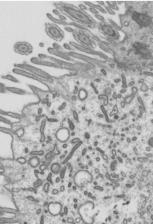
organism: Mouse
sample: Mouse epididymis efferent ductule cilia